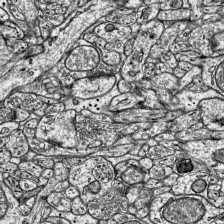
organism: Mouse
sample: Visual Cortex